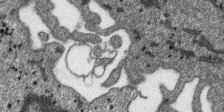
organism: Human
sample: Lung epithelial cells infected with SARS-CoV-2